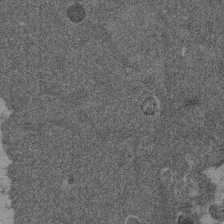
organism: Mouse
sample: Dividing mouse embryo 1 cell stage